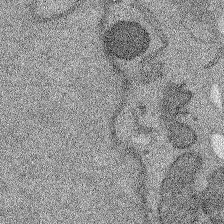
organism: Human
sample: HeLa cells